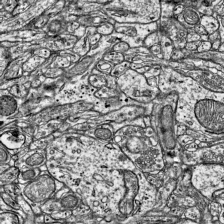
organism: Mouse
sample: Visual Cortex